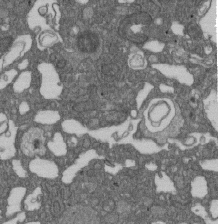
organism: Drosophila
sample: Nephrocyte